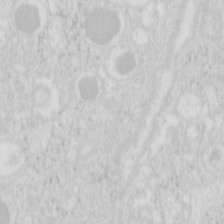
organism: Mouse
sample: Pancreas